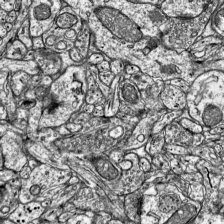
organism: Mouse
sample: Visual Cortex